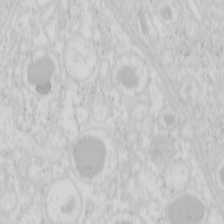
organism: Mouse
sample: Pancreas